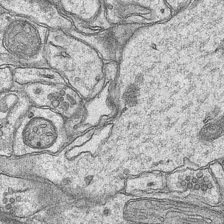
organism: Mouse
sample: CA1 Hippocampus